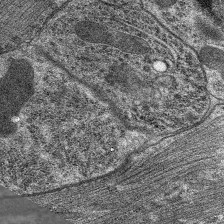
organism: C. elegans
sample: Pharynx